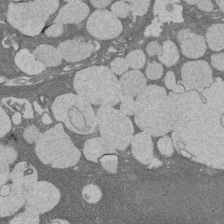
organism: Rat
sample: Salivary granule